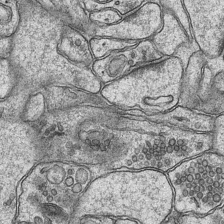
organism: Mouse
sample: CA1 Hippocampus